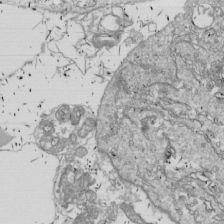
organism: Drosophila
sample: Cell division; meiosis; drosophila spermatocytes